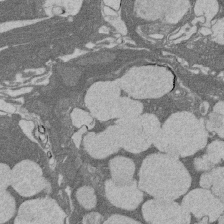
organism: Rat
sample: Salivary granule